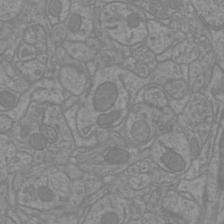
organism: Mouse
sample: Cortical neurons